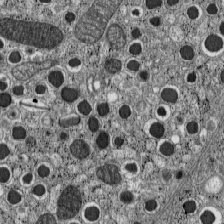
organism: C57BL Mouse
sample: Pancreatic islet